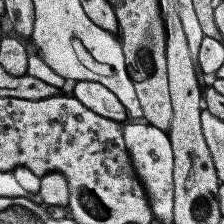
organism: Human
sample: Temporal Lobe